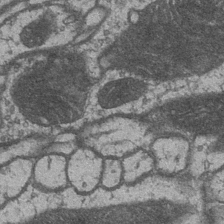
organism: Drosophila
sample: Optic medulla